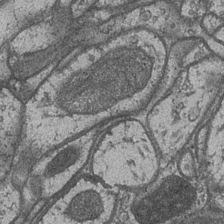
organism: Drosophila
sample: Optic medulla